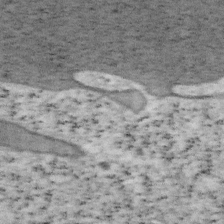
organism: Mouse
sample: OT-I killer T cells with ID8 ovarian cancer cells